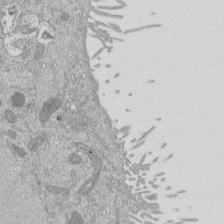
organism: Mouse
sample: ED-1 cell nuclei; centrioles